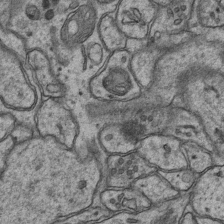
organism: Mouse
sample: CA1 Hippocampus